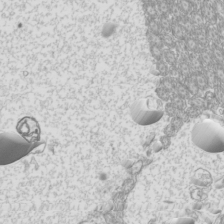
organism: Mouse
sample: Cilia; mouse epididymis